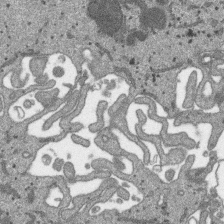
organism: Human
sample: Lung epithelial cells infected with SARS-CoV-2